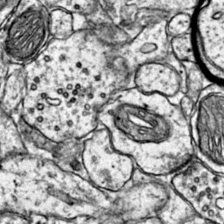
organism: Mouse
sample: Primary visual cortex